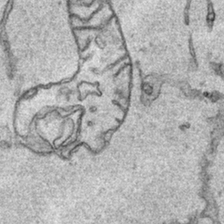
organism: Human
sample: Mitochondria in HCT116 cells